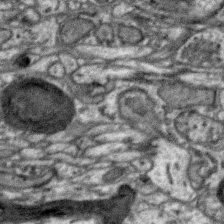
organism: Zebra finch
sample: Brain